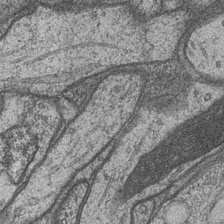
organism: Drosophila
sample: Optic medulla